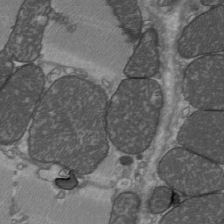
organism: C57BL Mouse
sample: Heart